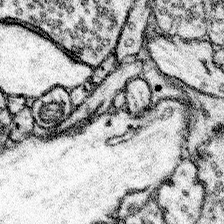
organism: Mouse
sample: Somatosensory cortex neuropil